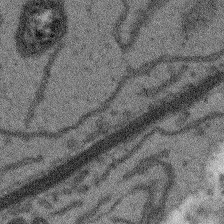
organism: Arabidopsis thaliana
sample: Root tip